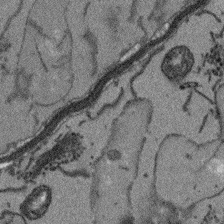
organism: Arabidopsis thaliana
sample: Root tip